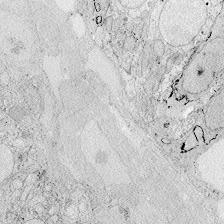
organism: Zebrafish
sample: Whole-Brain